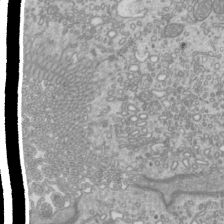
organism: Mouse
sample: Cilia; mouse epididymis